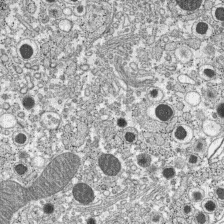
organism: C57BL Mouse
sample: Pancreatic islet